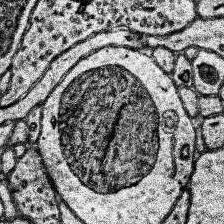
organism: Human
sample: Temporal Lobe